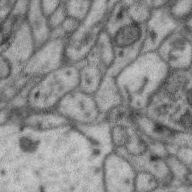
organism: Zebra finch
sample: Brain